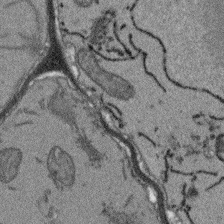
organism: Arabidopsis thaliana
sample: Root tip